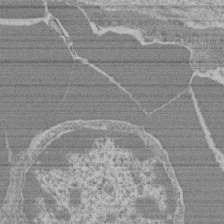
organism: Mouse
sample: Glomerulus